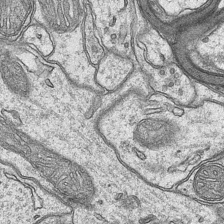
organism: Mouse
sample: CA1 Hippocampus